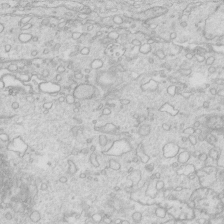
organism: Mouse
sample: Multiciliated cells